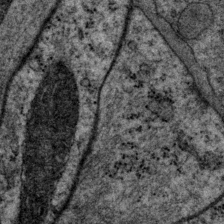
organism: P. pacificus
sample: Pharynx